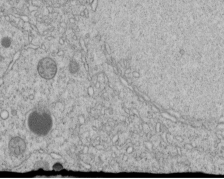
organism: C. elegans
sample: C. elegans embryo early stage